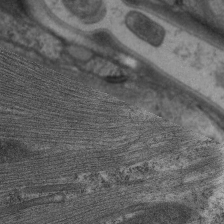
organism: C. elegans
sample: Pharynx